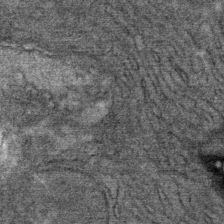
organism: Mouse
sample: Mouse Salivary gland